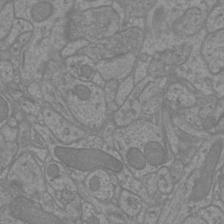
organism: Mouse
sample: Cortical neurons